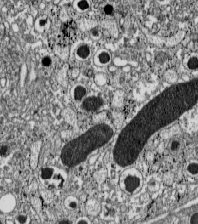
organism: C57BL Mouse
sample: Pancreatic islet